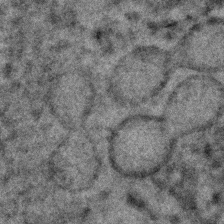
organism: C. elegans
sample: C. elegans embryo